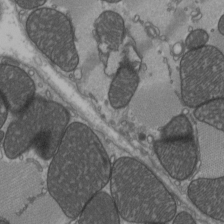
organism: C57BL Mouse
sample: Heart